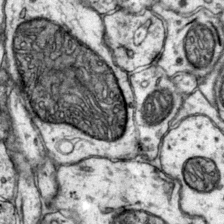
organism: Mouse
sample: Primary visual cortex